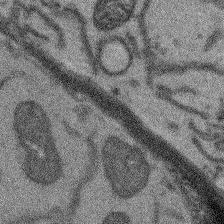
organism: Arabidopsis thaliana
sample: Root tip